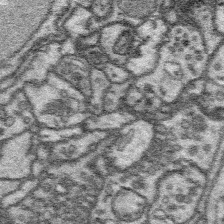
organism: Platynereis dumerilii